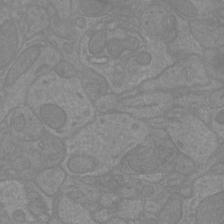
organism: Mouse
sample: Cortical neurons